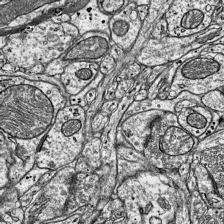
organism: Mouse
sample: Visual Cortex